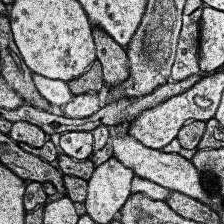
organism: Human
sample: Temporal Lobe